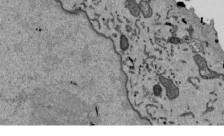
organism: Mouse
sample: ED-1 cell nuclei; centrioles